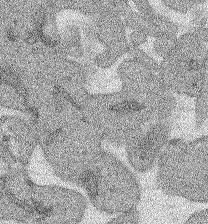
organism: Human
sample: HeLa cells